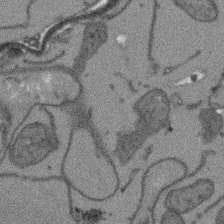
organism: Arabidopsis thaliana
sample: Root tip